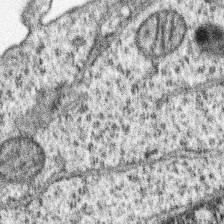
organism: Human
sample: HeLa cells